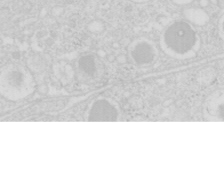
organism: Mouse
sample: Pancreas